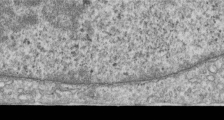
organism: Human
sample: Centriole in RPE cells